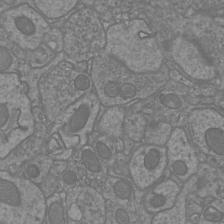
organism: Mouse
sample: Cortical neurons